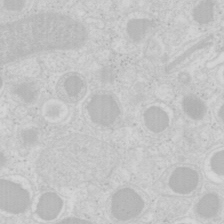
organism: Mouse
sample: Pancreas